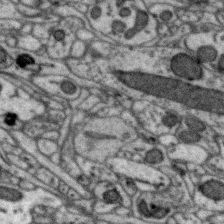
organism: Zebra finch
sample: Brain